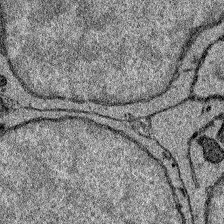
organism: Zebrafish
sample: Larval olfactory bulb